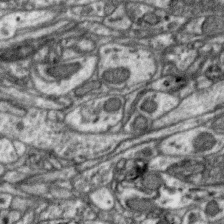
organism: Zebra finch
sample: Brain